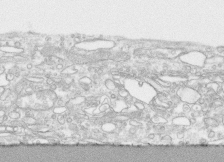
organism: Human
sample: CRL-1474